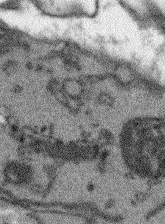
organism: Arabidopsis thaliana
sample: Root tip